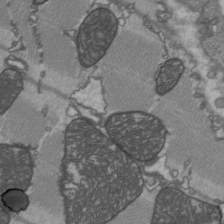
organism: C57BL Mouse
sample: Heart